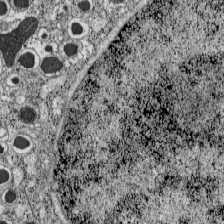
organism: C57BL Mouse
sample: Pancreatic islet